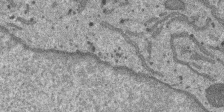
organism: Human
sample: Lung epithelial cells infected with SARS-CoV-2